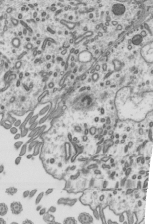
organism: Mouse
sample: Mouse epididymis efferent ductule cilia